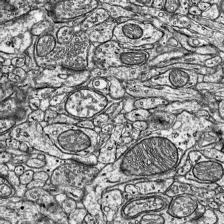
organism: Mouse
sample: Visual Cortex